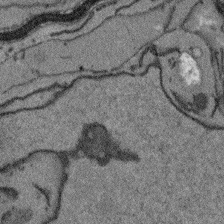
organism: Arabidopsis thaliana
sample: Root tip